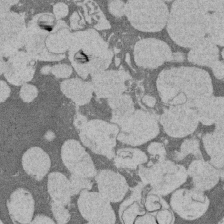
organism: Rat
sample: Salivary granule